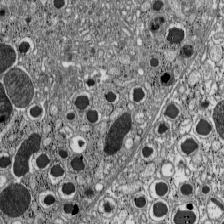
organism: C57BL Mouse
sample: Pancreatic islet